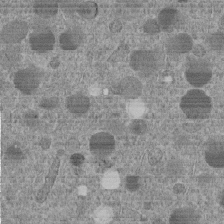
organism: C. elegans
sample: C. elegans embryo early stage